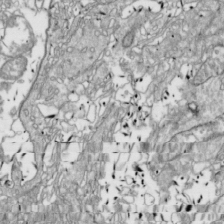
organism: Drosophila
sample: Cell division; meiosis; drosophila spermatocytes